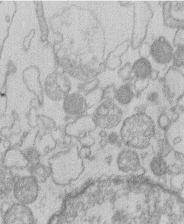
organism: Human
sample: Macrophage cells